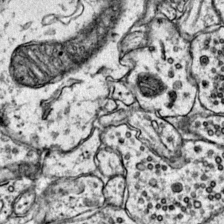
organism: Mouse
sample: Primary visual cortex